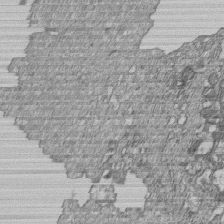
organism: Human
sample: MDA-MB-231 cells